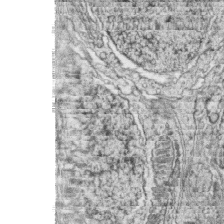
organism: Zebrafish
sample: synaptic ribbons in rod cells and cone cells